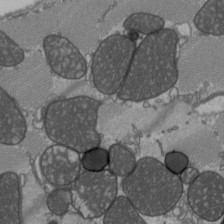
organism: C57BL Mouse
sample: Heart